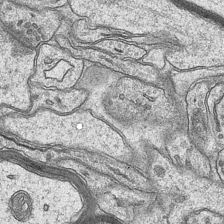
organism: Mouse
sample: CA1 Hippocampus